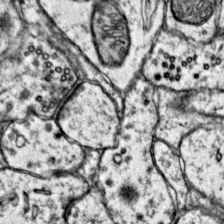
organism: Mouse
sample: Primary visual cortex